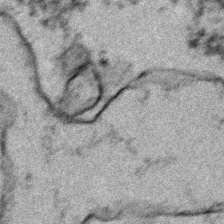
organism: Zebrafish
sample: Zebrafish embryo